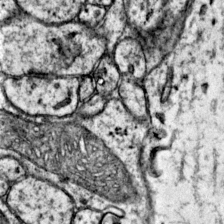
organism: Mouse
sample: Primary visual cortex